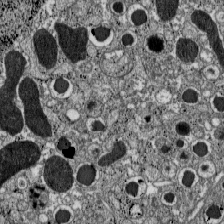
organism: C57BL Mouse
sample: Pancreatic islet